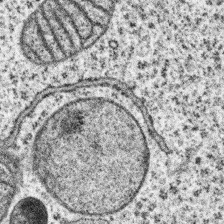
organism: Human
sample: HeLa cells